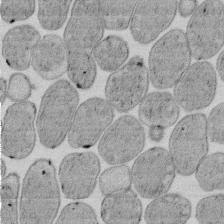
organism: E. coli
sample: Bacterial nucleoid